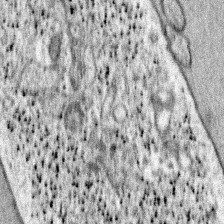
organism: Human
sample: HeLa cells